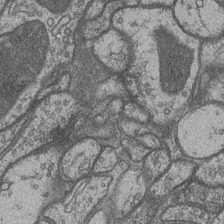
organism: Drosophila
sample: Optic medulla